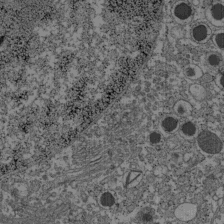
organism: C57BL Mouse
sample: Pancreatic islet